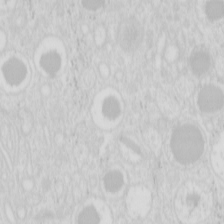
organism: Mouse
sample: Pancreas